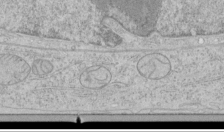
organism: Human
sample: Mitochondria in HCT116 cells